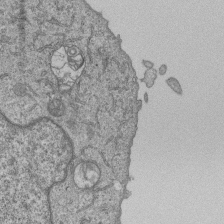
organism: Human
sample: MDA-MB-231 cells